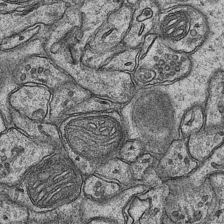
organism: Mouse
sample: CA1 Hippocampus